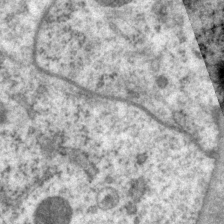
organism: P. pacificus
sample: Pharynx